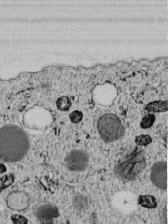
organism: C. elegans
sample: C. elegans embryo early stage